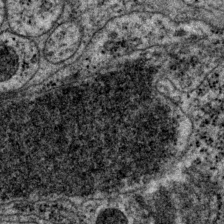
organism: P. pacificus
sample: Pharynx